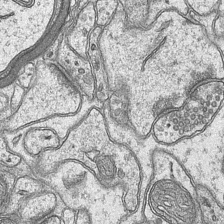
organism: Mouse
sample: CA1 Hippocampus